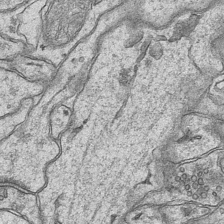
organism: Mouse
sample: CA1 Hippocampus